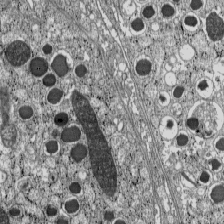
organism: C57BL Mouse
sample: Pancreatic islet